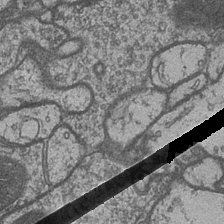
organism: Drosophila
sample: Optic medulla